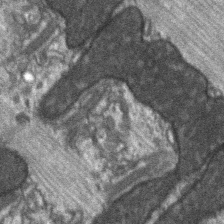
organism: C57BL Mouse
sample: Soleus